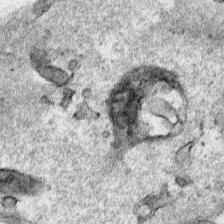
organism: Human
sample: Mitochondria in HCT116 cells